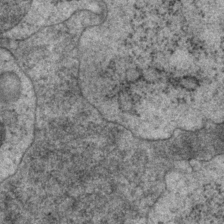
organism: P. pacificus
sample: Pharynx